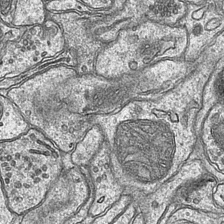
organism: Mouse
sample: CA1 Hippocampus